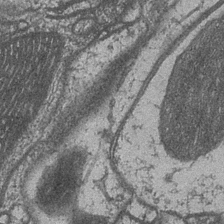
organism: Drosophila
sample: Optic medulla